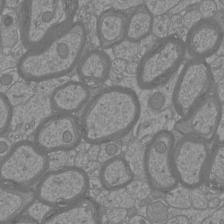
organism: Mouse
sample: Cortical neurons